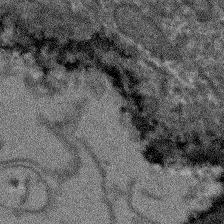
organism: Arabidopsis thaliana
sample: Root tip